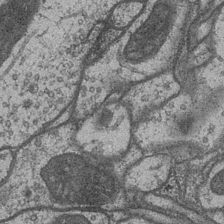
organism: Drosophila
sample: Optic medulla